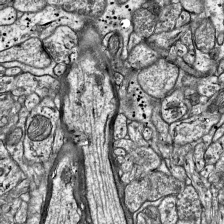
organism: Mouse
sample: Visual Cortex